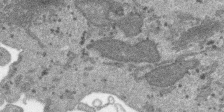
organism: Human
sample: Lung epithelial cells infected with SARS-CoV-2